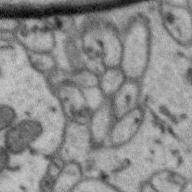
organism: Zebra finch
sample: Brain